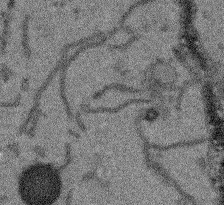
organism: Arabidopsis thaliana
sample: Root tip